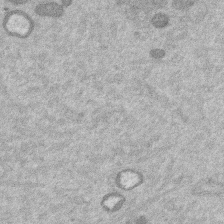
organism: Mouse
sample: Dividing mouse embryo 1 cell stage